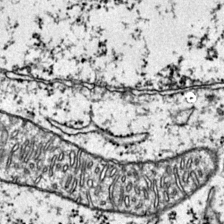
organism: Mouse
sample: Primary visual cortex